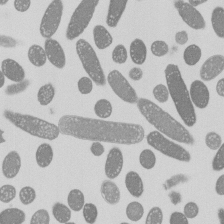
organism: E. coli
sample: Bacterial nucleoid